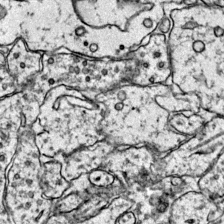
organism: Mouse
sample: Primary visual cortex